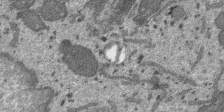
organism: Human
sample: Lung epithelial cells infected with SARS-CoV-2